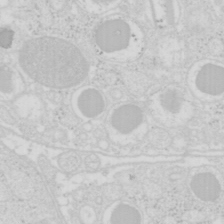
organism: Mouse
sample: Pancreas